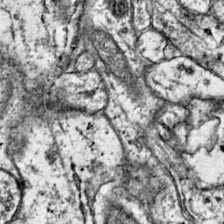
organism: Mouse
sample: Primary visual cortex